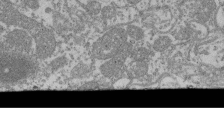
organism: Mouse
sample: Glomerulus